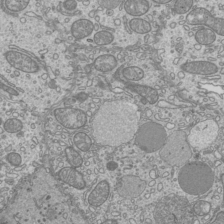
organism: Mouse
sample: Cilia; mouse epididymis